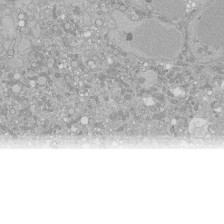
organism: Human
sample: Caco-2 cells